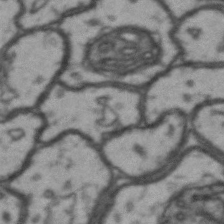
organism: Drosophila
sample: Brain